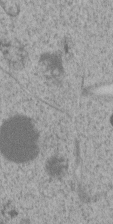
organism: C. elegans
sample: C. elegans embryo early stage